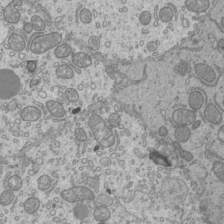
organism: Mouse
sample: Cilia; mouse epididymis